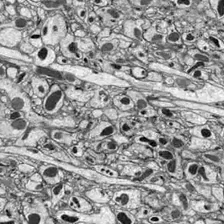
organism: Drosophila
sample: Optic lobe